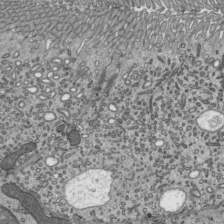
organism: Mouse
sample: Mouse epididymis efferent ductule cilia